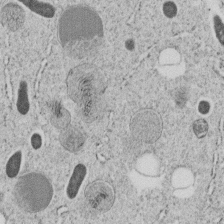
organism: C. elegans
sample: C. elegans embryo early stage